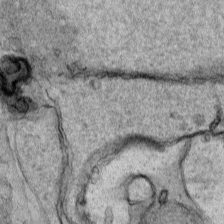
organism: Human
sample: Mitochondria in HCT116 cells